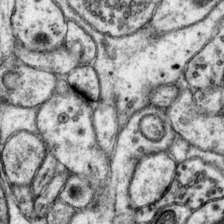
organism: Mouse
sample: Primary visual cortex